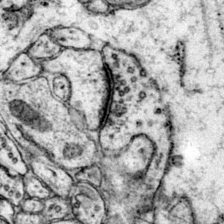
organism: Mouse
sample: Primary visual cortex